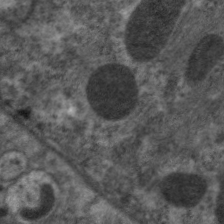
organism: C. elegans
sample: Pharynx